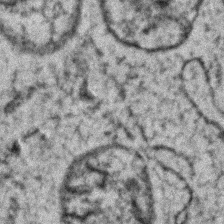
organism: Zebrafish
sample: Zebrafish embryo